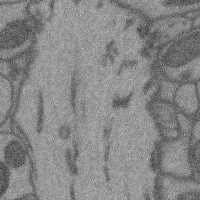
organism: Mouse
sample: Cerebral cortex